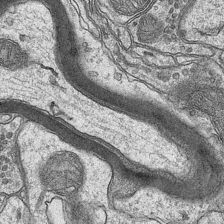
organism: Mouse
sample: CA1 Hippocampus